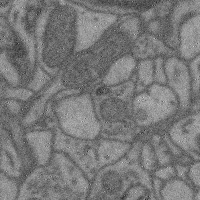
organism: Mouse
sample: Cerebral cortex